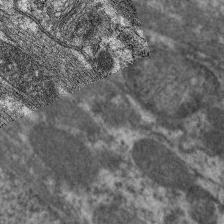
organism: C. elegans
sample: Pharynx